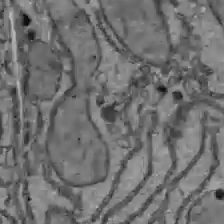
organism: C57BL Mouse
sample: Liver